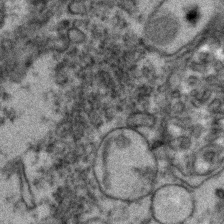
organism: Zebrafish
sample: Zebrafish embryo